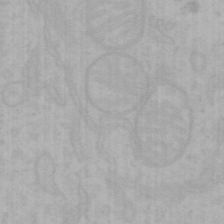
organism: Mouse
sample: Choroid plexus